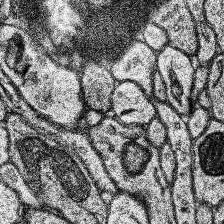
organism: Human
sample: Temporal Lobe